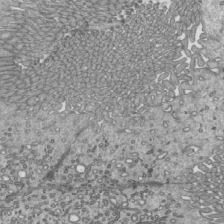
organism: Mouse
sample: Mouse epididymis efferent ductule cilia